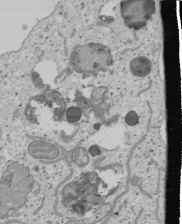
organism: Human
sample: Mitochondria in U2OS cells